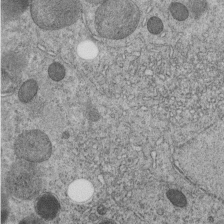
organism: C. elegans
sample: C. elegans embryo early stage